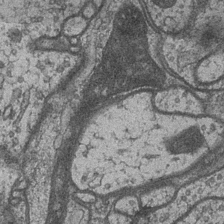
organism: Drosophila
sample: Optic medulla